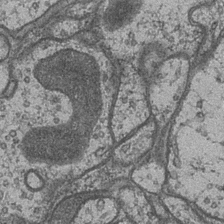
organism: Drosophila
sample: Optic medulla